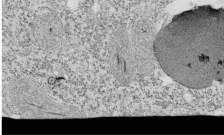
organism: Tetrahymena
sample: Cilia in tetrahymena